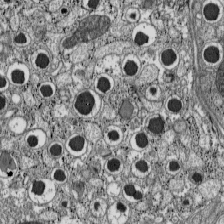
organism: C57BL Mouse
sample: Pancreatic islet